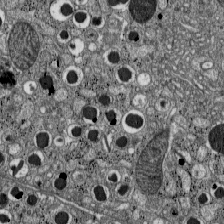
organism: C57BL Mouse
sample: Pancreatic islet